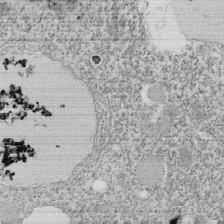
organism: Tetrahymena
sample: Cilia in tetrahymena